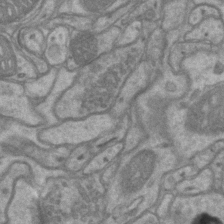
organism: Mouse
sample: CA1 Hippocampus